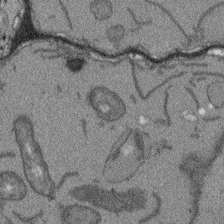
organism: Arabidopsis thaliana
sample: Root tip